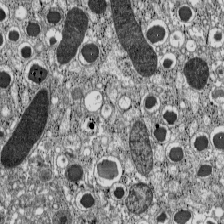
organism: C57BL Mouse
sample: Pancreatic islet